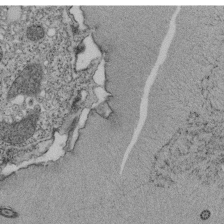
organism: Tetrahymena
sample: Cilia in tetrahymena